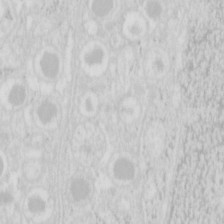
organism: Mouse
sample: Pancreas